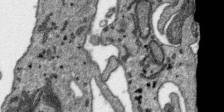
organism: Human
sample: Lung epithelial cells, uninfected (mock) control